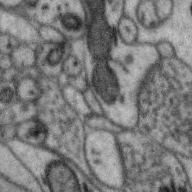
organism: Zebra finch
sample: Brain